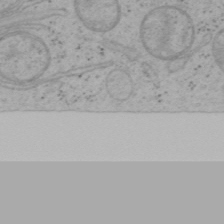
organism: Human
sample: HeLa cells